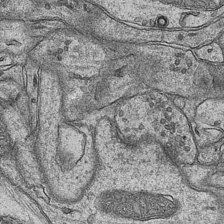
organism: Mouse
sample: CA1 Hippocampus